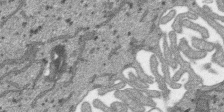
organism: Human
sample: Lung epithelial cells infected with SARS-CoV-2